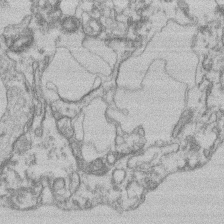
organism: Mouse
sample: T cell stromal cell synapse